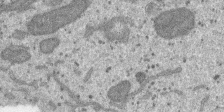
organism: Human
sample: Lung epithelial cells infected with SARS-CoV-2